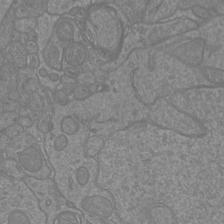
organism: Mouse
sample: Cortical neurons